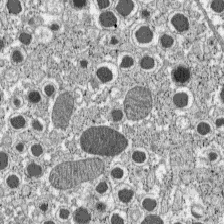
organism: C57BL Mouse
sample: Pancreatic islet